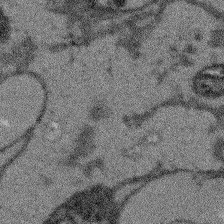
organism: Arabidopsis thaliana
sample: Root tip